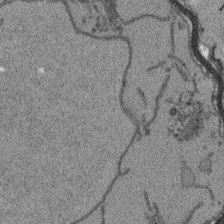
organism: Arabidopsis thaliana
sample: Root tip